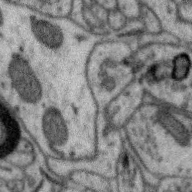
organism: Zebra finch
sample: Brain